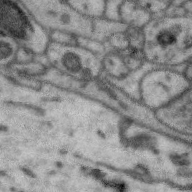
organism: Zebra finch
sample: Brain